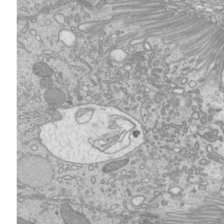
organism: Mouse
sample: Cilia; mouse epididymis